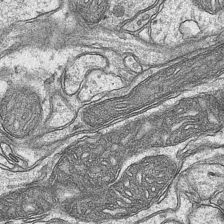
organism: Mouse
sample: CA1 Hippocampus